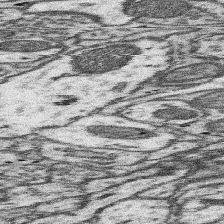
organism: Mouse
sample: Somatosensory cortex neuropil